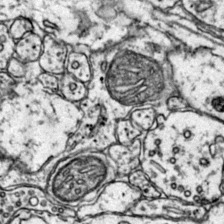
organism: Mouse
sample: Primary visual cortex